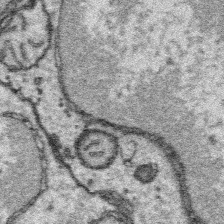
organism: Platynereis dumerilii